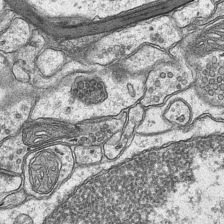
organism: Mouse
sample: CA1 Hippocampus